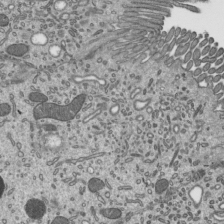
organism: Mouse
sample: Mouse epididymis efferent ductule cilia